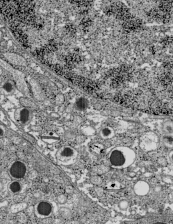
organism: C57BL Mouse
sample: Pancreatic islet